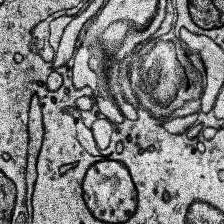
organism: Human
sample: Temporal Lobe